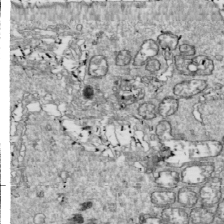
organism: Drosophila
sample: Cell division; meiosis; drosophila spermatocytes